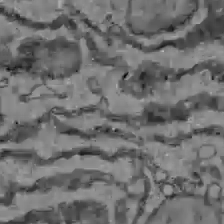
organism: C57BL Mouse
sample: Liver